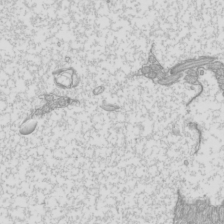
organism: Mouse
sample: Cilia; mouse epididymis